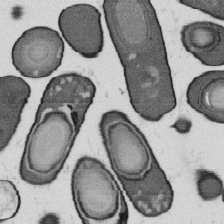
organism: B. subtilis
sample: Bacterial spore